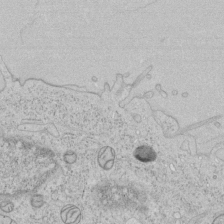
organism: Human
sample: Mitochondria in HCT116 cells